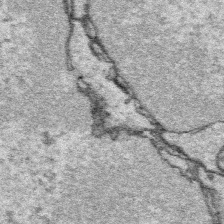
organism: Platynereis dumerilii